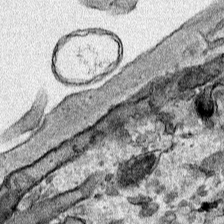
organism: Human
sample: Mitochondria in HCT116 cells